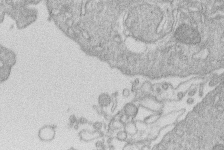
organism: Human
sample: Macrophage cells